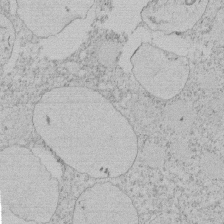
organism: Tetrahymena